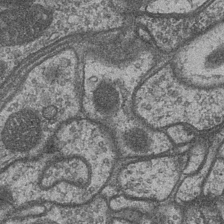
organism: Drosophila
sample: Optic medulla